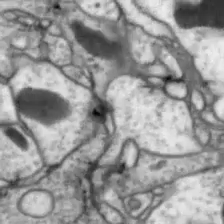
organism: Drosophila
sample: Optic lobe